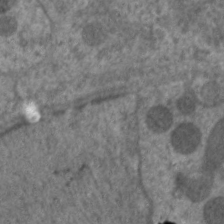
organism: C. elegans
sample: Pharynx